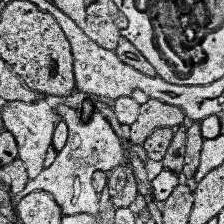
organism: Human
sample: Temporal Lobe